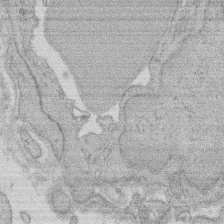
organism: Rat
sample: Salivary granule